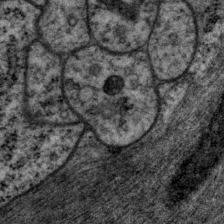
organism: P. pacificus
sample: Pharynx